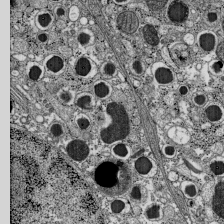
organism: C57BL Mouse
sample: Pancreatic islet